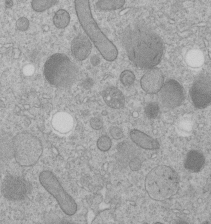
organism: C. elegans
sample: C. elegans embryo early stage